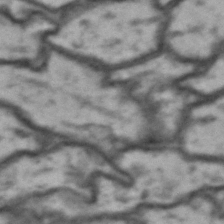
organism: Drosophila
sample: Brain